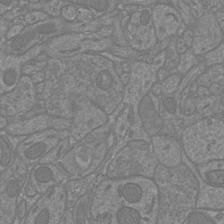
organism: Mouse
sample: Cortical neurons